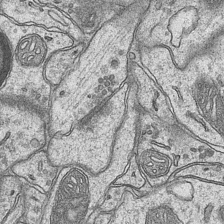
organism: Mouse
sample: CA1 Hippocampus